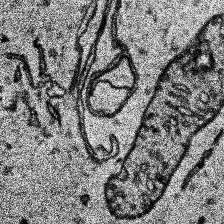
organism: Human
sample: Temporal Lobe